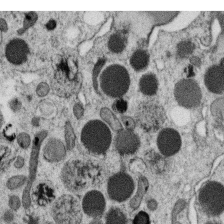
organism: C. elegans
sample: C. elegans oocyte; sperm cells